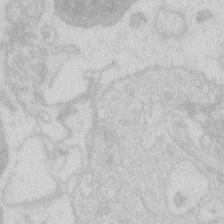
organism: Zebrafish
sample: Macrophage